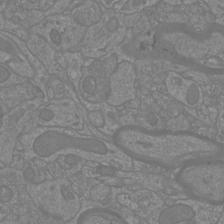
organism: Mouse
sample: Cortical neurons